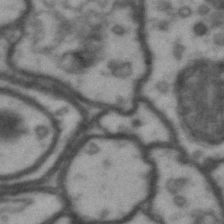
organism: Drosophila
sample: Brain